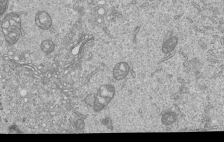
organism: Human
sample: MDA-MB-231 cells